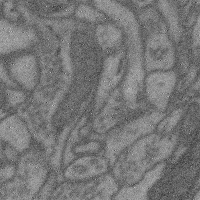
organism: Mouse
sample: Cerebral cortex